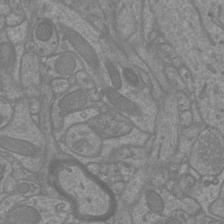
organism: Mouse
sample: Cortical neurons